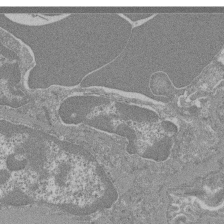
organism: Mouse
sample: Glomerulus